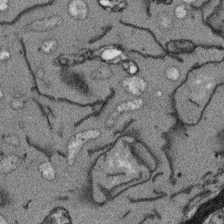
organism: Arabidopsis thaliana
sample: Root tip